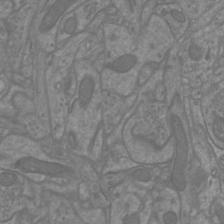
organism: Mouse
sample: Cortical neurons